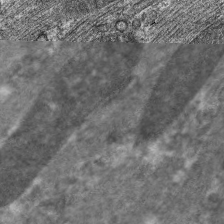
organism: C. elegans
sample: Pharynx